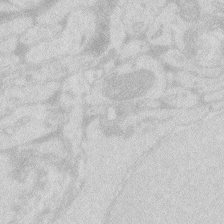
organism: Zebrafish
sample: Macrophage